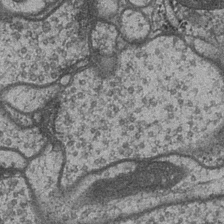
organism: Drosophila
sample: Optic medulla